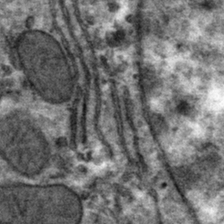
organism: Mouse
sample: Mouse hepatocytes